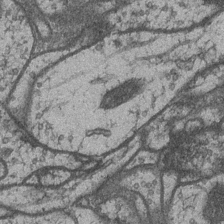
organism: Drosophila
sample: Optic medulla